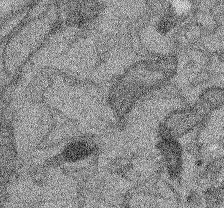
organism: Human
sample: HeLa cells